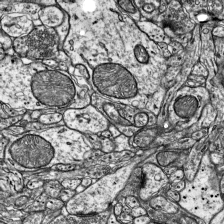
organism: Mouse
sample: Visual Cortex